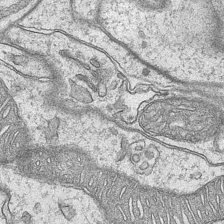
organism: Mouse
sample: CA1 Hippocampus